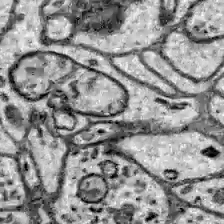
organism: Zebrafish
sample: Brain